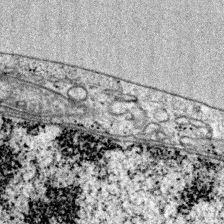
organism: Human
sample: HeLa cells